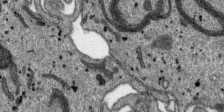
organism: Human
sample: Lung epithelial cells, uninfected (mock) control